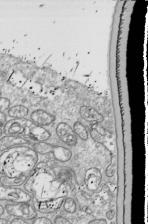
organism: Drosophila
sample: Cell division; meiosis; drosophila spermatocytes